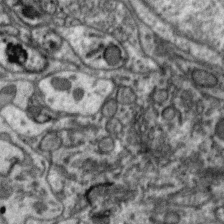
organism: Zebra finch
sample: Brain